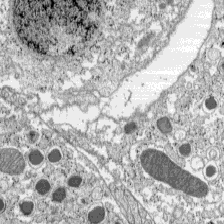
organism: C57BL Mouse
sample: Pancreatic islet